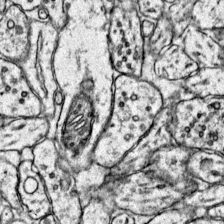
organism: Mouse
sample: Primary visual cortex